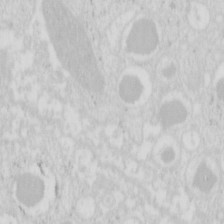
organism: Mouse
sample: Pancreas